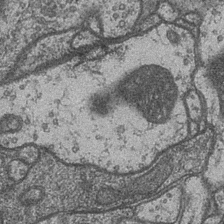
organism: Drosophila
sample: Optic medulla